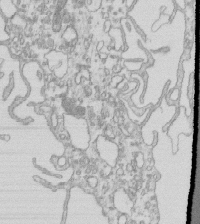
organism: Mouse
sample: Macrophages